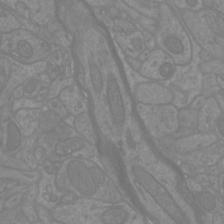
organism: Mouse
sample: Cortical neurons